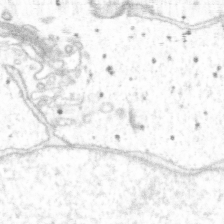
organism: Human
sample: HeLa cells